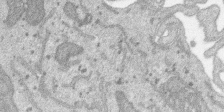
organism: Human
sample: Lung epithelial cells infected with SARS-CoV-2